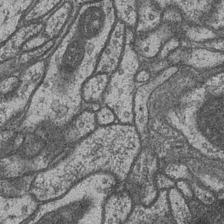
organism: Drosophila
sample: Optic medulla